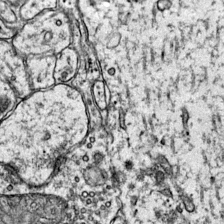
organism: Mouse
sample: Primary visual cortex